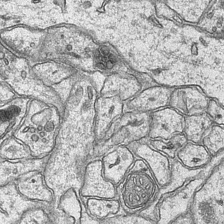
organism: Mouse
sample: CA1 Hippocampus